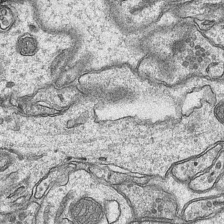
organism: Mouse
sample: CA1 Hippocampus